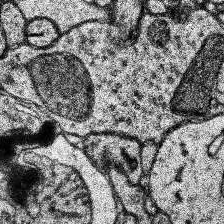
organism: Human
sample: Temporal Lobe